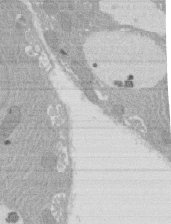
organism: Rat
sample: Salivary granule